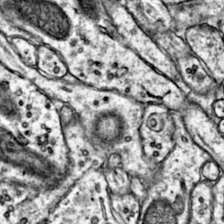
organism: Mouse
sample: Primary visual cortex